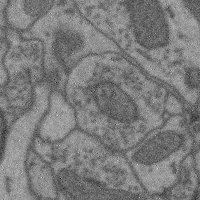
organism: Mouse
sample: Cerebral cortex